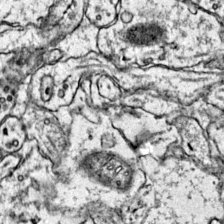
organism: Mouse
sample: Primary visual cortex